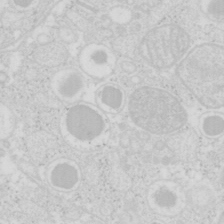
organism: Mouse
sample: Pancreas